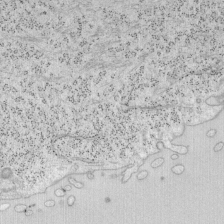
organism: Mouse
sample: OT-I killer T cells with ID8 ovarian cancer cells